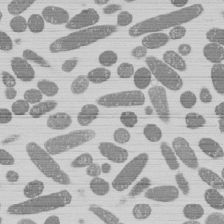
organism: E. coli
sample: Bacterial nucleoid